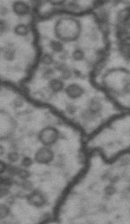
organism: Drosophila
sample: Brain